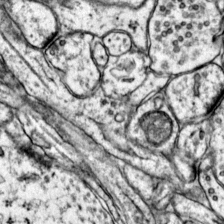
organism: Mouse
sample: Primary visual cortex